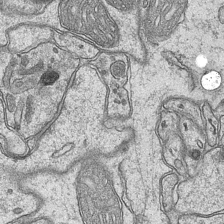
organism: Mouse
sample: CA1 Hippocampus